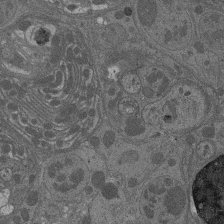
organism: Drosophila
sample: Antenna